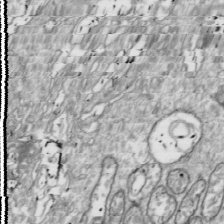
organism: Drosophila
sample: Cell division; meiosis; drosophila spermatocytes